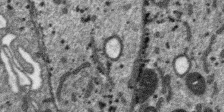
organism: Human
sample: Lung epithelial cells infected with SARS-CoV-2